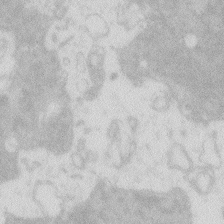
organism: Zebrafish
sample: Macrophage